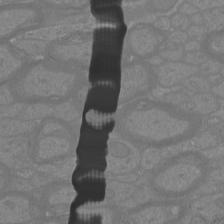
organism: Mouse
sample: Cortical neurons